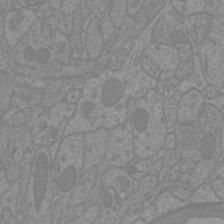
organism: Mouse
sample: Cortical neurons